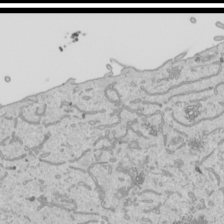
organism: Human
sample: Mitochondria in HCT116 cells